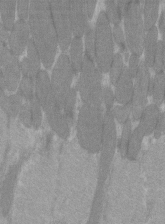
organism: C57BL Mouse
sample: Tibialis anterior muscle cell